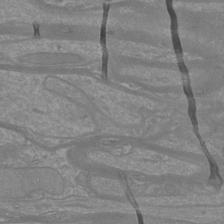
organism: Mouse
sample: Cortical neurons